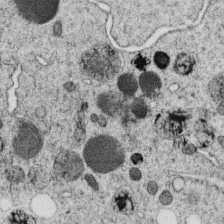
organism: C. elegans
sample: C. elegans oocyte; sperm cells